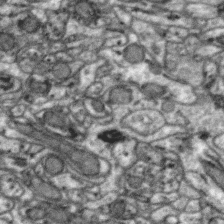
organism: Zebra finch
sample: Brain